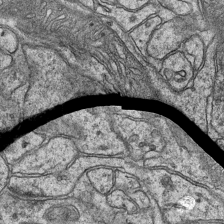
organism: Mouse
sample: CA1 Hippocampus